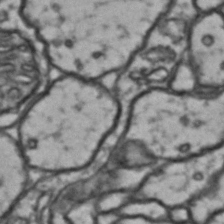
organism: Drosophila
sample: Brain